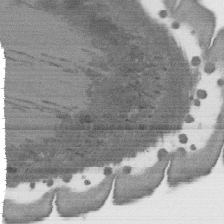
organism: C. elegans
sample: AFD neurons C. elegans